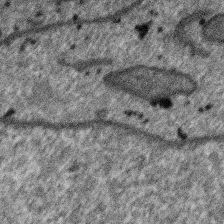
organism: Human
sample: Lung epithelial cells infected with SARS-CoV-2